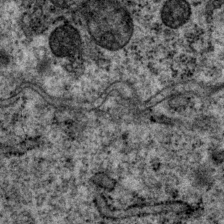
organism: P. pacificus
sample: Pharynx